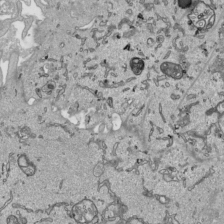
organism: Human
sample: Mitochondria in HCT116 cells